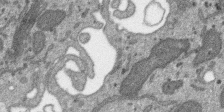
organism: Human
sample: Lung epithelial cells infected with SARS-CoV-2